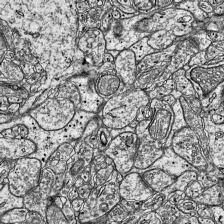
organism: Mouse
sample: Visual Cortex